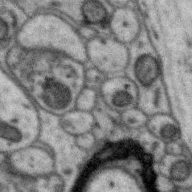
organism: Zebra finch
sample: Brain